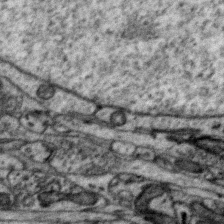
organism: Zebra finch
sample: Brain